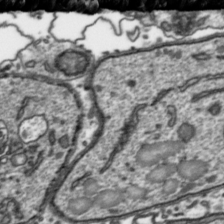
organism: Toxoplasma gondii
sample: Parasites in a vacuole inside a host cell